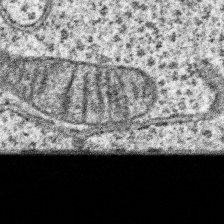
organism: Human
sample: HeLa cells